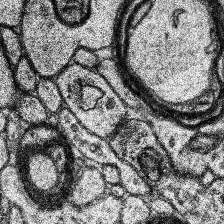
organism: Human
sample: Temporal Lobe